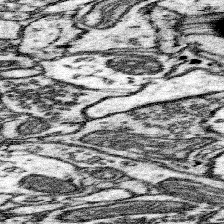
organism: Mouse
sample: Somatosensory cortex neuropil